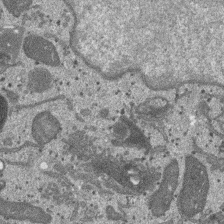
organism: Human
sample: Lung epithelial cells infected with SARS-CoV-2